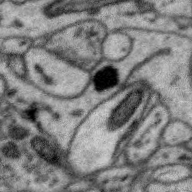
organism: Zebra finch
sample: Brain